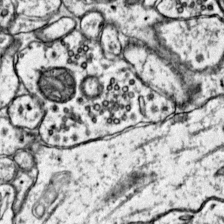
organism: Mouse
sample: Primary visual cortex